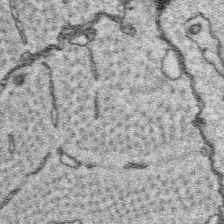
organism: Platynereis dumerilii